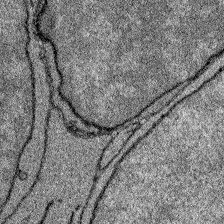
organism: Zebrafish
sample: Larval olfactory bulb